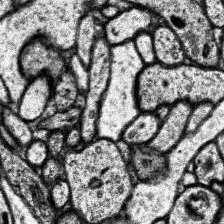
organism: Human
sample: Temporal Lobe